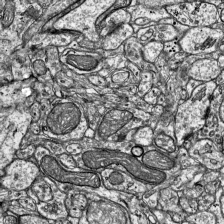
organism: Mouse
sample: Visual Cortex